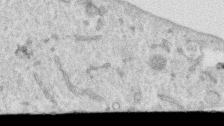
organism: Human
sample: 1205lu cells